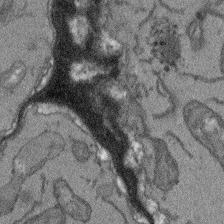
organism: Arabidopsis thaliana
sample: Root tip